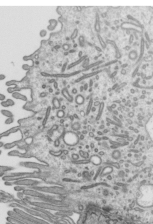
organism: Mouse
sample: Mouse epididymis efferent ductule cilia